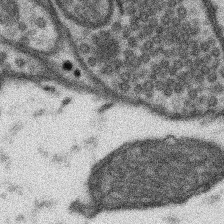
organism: Mouse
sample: Somatosensory cortex neuropil